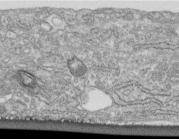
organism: Human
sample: Centriole in fibroblast cells